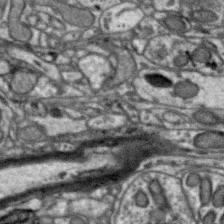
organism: Zebra finch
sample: Brain